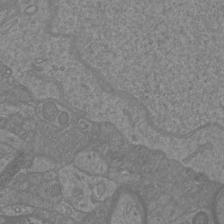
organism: Mouse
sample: Cortical neurons